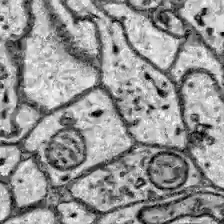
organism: Zebrafish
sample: Brain